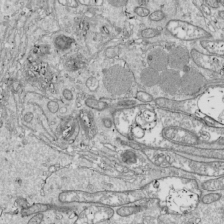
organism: Drosophila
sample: Cell division; meiosis; drosophila spermatocytes